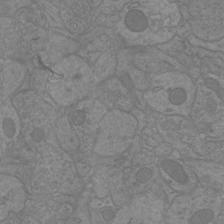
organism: Mouse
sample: Cortical neurons